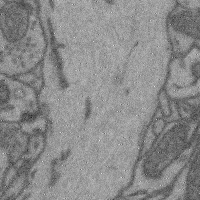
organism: Mouse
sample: Cerebral cortex